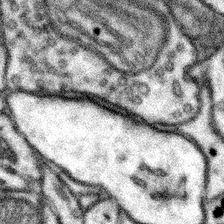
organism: Mouse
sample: Somatosensory cortex neuropil